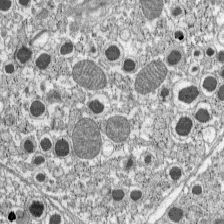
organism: C57BL Mouse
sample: Pancreatic islet